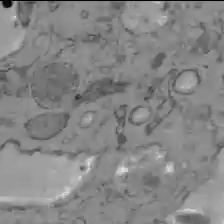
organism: C57BL Mouse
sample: Liver